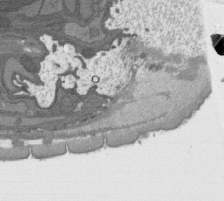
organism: C. elegans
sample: AFD neurons C. elegans